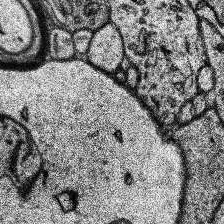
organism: Human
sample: Temporal Lobe